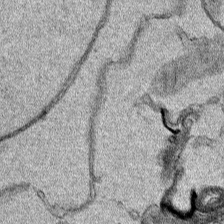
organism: Human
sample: Mitochondria in HCT116 cells